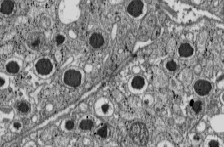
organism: C57BL Mouse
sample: Pancreatic islet